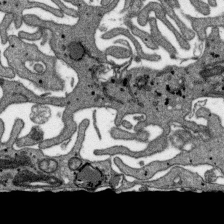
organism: Human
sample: Lung epithelial cells, uninfected (mock) control